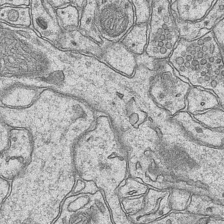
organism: Mouse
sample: CA1 Hippocampus